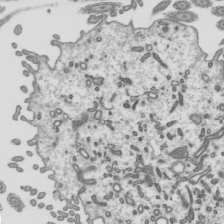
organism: Mouse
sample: Mouse epididymis efferent ductule cilia